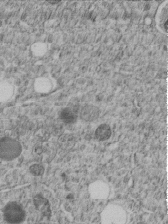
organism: C. elegans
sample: C. elegans embryo early stage